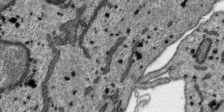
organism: Human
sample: Lung epithelial cells, uninfected (mock) control